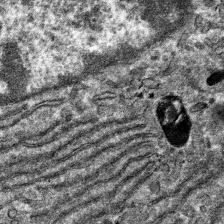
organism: Mouse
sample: Mouse hepatocytes